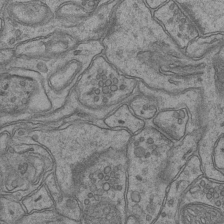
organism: Mouse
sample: CA1 Hippocampus